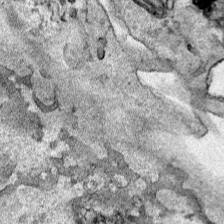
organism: Human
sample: Mitochondria in HCT116 cells